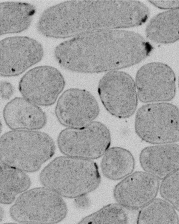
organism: E. coli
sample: Bacterial nucleoid